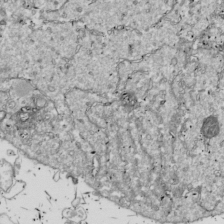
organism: Drosophila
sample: Cell division; meiosis; drosophila spermatocytes